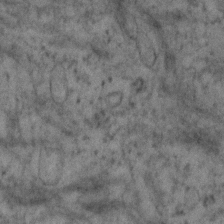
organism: Human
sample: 1205lu cells